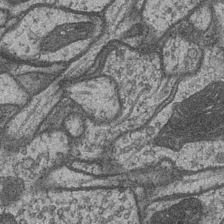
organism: Drosophila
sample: Optic medulla